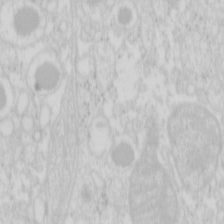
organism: Mouse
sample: Pancreas